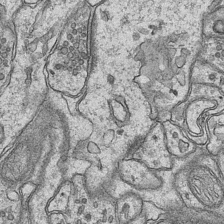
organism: Mouse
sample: CA1 Hippocampus